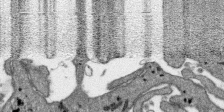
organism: Human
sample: Lung epithelial cells, uninfected (mock) control